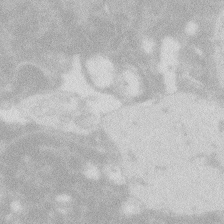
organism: Zebrafish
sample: Macrophage